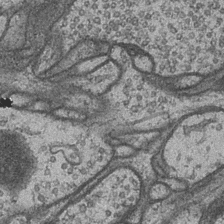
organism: Drosophila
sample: Optic medulla